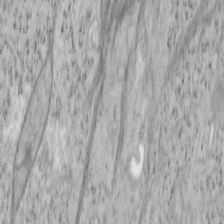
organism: Human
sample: HeLa cells